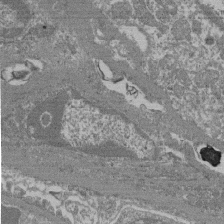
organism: Mouse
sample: Glomerulus